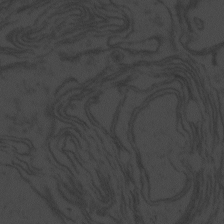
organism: Zebrafish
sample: Macrophage infected with Toxoplasma gondii